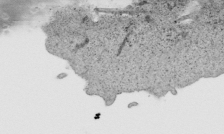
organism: Human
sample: Mitochondria in HCT116 cells